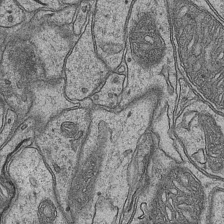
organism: Mouse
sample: CA1 Hippocampus